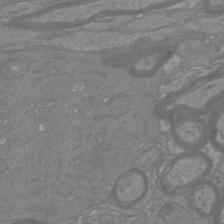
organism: Mouse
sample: Cortical neurons